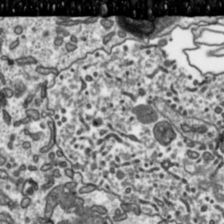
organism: Toxoplasma gondii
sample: Parasites in a vacuole inside a host cell